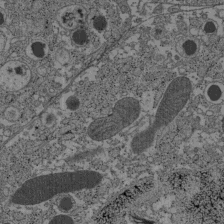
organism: C57BL Mouse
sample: Pancreatic islet